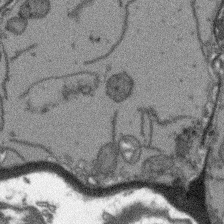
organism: Arabidopsis thaliana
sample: Root tip